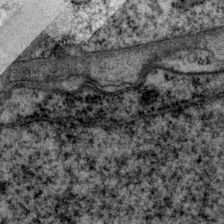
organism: P. pacificus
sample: Pharynx